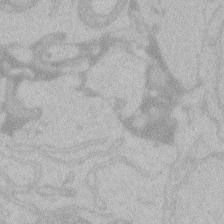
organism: Zebrafish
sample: Macrophage infected with Toxoplasma gondii